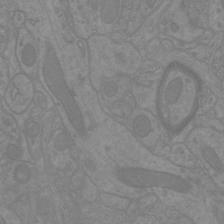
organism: Mouse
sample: Cortical neurons